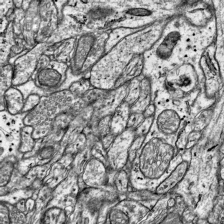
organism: Mouse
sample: Visual Cortex